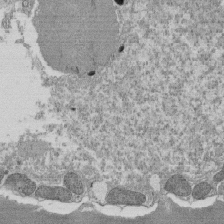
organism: Tetrahymena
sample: Cilia in tetrahymena